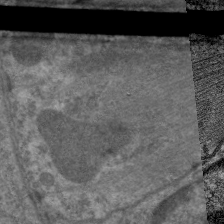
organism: C. elegans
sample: Pharynx